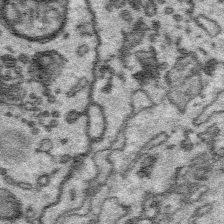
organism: Platynereis dumerilii